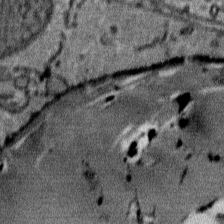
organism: Mouse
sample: Mouse Salivary gland